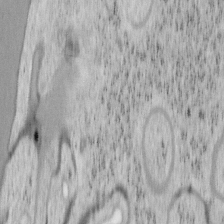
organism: Human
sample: HeLa cells